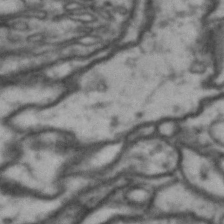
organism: Drosophila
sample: Brain